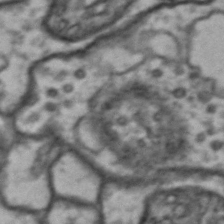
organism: Drosophila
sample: Brain